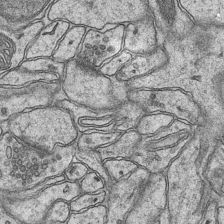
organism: Mouse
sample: CA1 Hippocampus